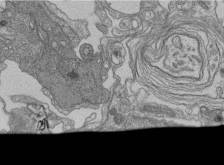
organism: Human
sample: Retinal organoid Rod and Cone cells